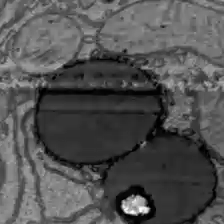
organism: C57BL Mouse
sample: Liver